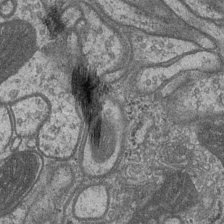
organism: Drosophila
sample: Optic medulla